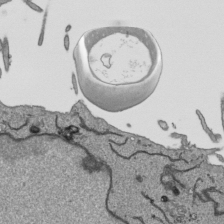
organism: Human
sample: Mitochondria in HCT116 cells